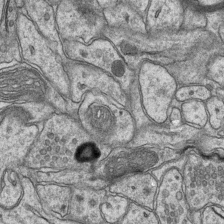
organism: Mouse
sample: CA1 Hippocampus